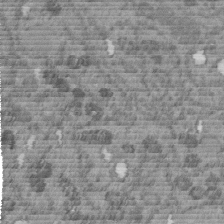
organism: C. elegans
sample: C. elegans embryo early stage